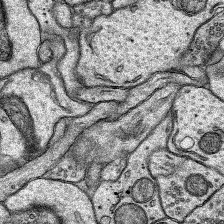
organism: Rat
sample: Hippocampus